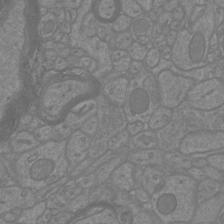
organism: Mouse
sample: Cortical neurons